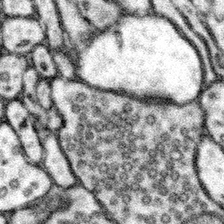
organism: Mouse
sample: Somatosensory cortex neuropil